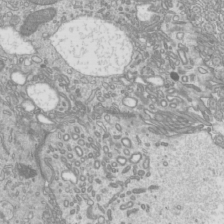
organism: Mouse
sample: Cilia; mouse epididymis